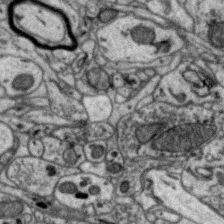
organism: Zebra finch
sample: Brain